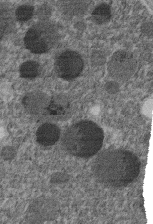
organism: C. elegans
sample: C. elegans embryo early stage